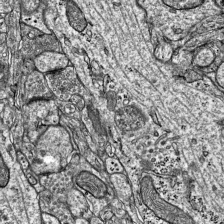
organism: Mouse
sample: Visual Cortex